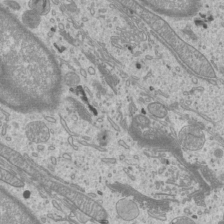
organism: Mouse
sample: Cilia; mouse epididymis